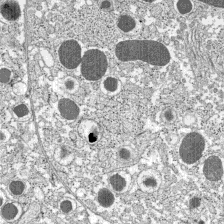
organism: C57BL Mouse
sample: Pancreatic islet